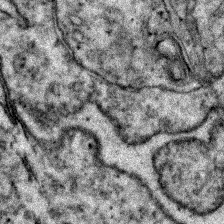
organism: Zebrafish